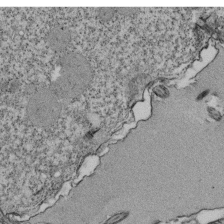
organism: Tetrahymena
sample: Cilia in tetrahymena